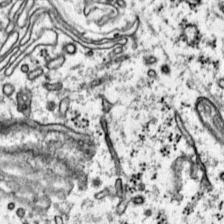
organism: Mouse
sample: Primary visual cortex